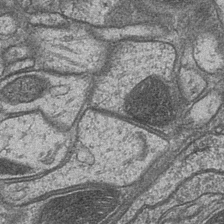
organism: Drosophila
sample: Optic medulla